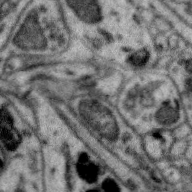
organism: Zebra finch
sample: Brain